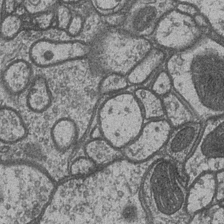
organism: Drosophila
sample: Optic medulla